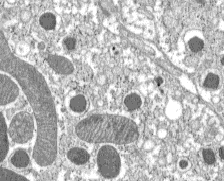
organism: C57BL Mouse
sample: Pancreatic islet